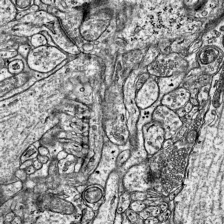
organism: Mouse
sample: Visual Cortex